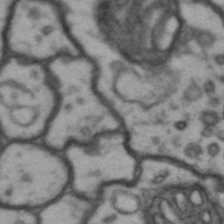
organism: Drosophila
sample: Brain